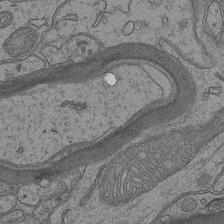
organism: Mouse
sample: CA1 Hippocampus